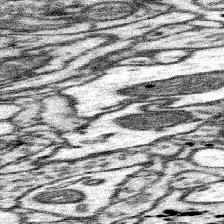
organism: Mouse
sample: Somatosensory cortex neuropil